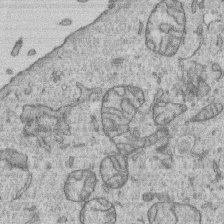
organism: Human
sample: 1205lu cells